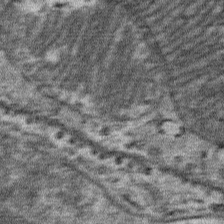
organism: Mouse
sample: Mouse Salivary gland